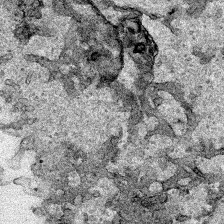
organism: Human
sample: Mitochondria in HCT116 cells